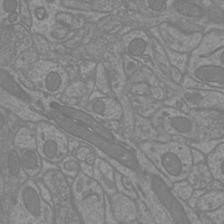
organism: Mouse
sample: Cortical neurons